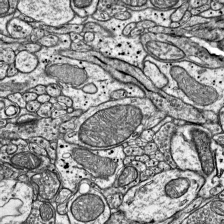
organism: Mouse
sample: Visual Cortex